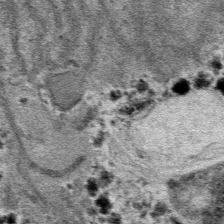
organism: Mouse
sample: Mouse hepatocytes